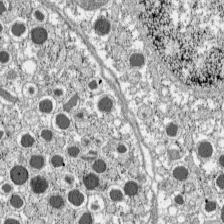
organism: C57BL Mouse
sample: Pancreatic islet